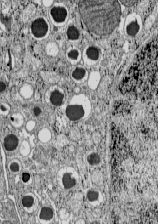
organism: C57BL Mouse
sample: Pancreatic islet